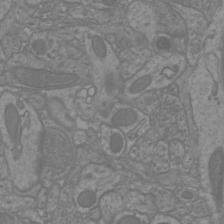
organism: Mouse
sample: Cortical neurons